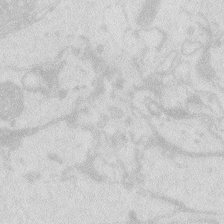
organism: Zebrafish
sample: Macrophage